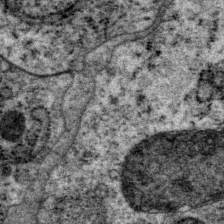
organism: P. pacificus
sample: Pharynx